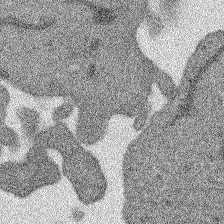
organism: Human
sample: HeLa cells